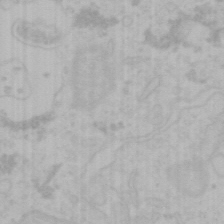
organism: Mouse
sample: Choroid plexus